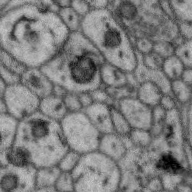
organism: Zebra finch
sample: Brain